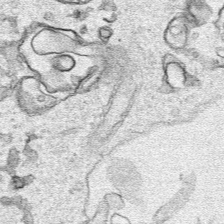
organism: Human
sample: Mitochondria in HCT116 cells